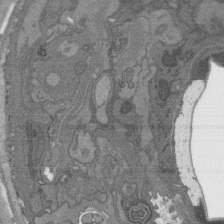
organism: C. elegans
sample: AFD neurons C. elegans